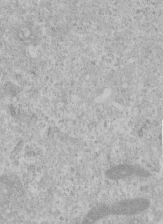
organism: Human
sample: Centriole in RPE cells